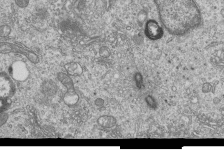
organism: Human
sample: MDA-MB-231 cells